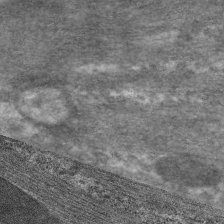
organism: C. elegans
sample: Pharynx